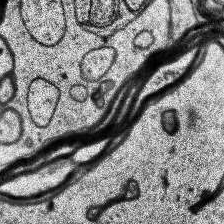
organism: Human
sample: Temporal Lobe